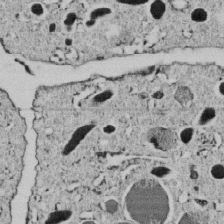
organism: C. elegans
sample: C. elegans embryo early stage